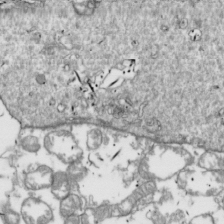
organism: Drosophila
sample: Cell division; meiosis; drosophila spermatocytes